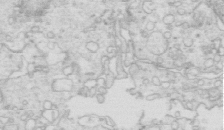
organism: Mouse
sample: Multiciliated cells